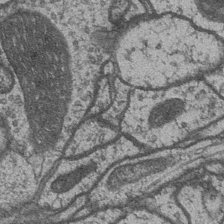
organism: Drosophila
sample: Optic medulla